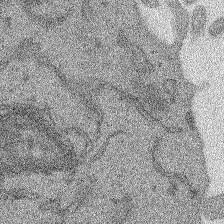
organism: Human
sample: HeLa cells